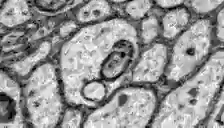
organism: Zebrafish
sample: Brain